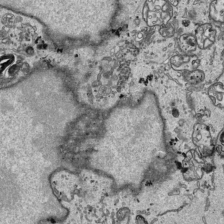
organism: Human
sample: Mitochondria in HCT116 cells